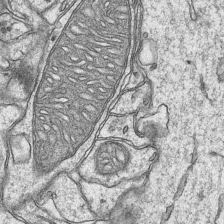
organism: Mouse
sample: CA1 Hippocampus